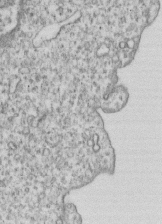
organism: Human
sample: MDA-MB-231 cells